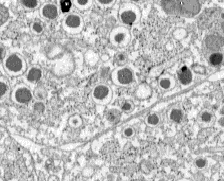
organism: C57BL Mouse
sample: Pancreatic islet